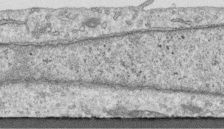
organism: Human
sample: Centriole in RPE cells